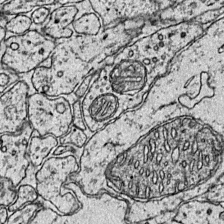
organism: Mouse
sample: Primary visual cortex